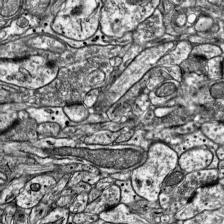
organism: Mouse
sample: Visual Cortex